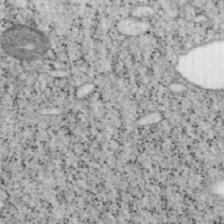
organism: Mouse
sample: OT-I killer T cells with ID8 ovarian cancer cells